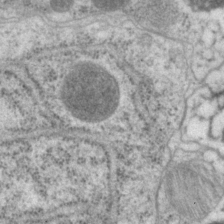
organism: P. pacificus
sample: Pharynx